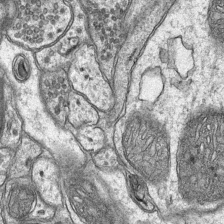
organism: Mouse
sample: CA1 Hippocampus